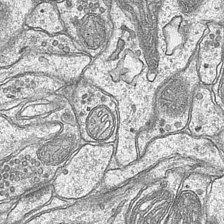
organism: Mouse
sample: CA1 Hippocampus